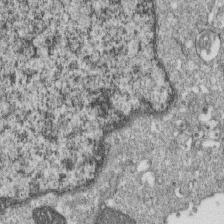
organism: African green monkey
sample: Vero E6 cells infected with SARS-CoV-2